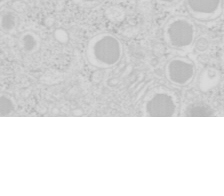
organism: Mouse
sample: Pancreas